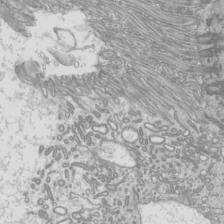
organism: Mouse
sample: Cilia; mouse epididymis